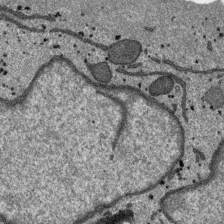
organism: Human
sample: Lung epithelial cells, uninfected (mock) control